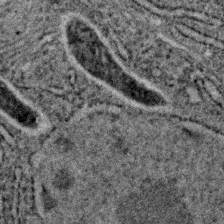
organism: C. elegans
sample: C. elegans embryo